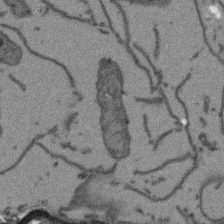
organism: Arabidopsis thaliana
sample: Root tip